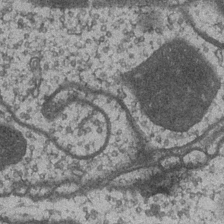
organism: Drosophila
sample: Optic medulla